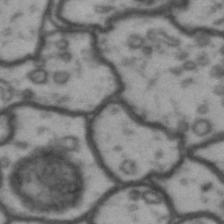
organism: Drosophila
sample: Brain